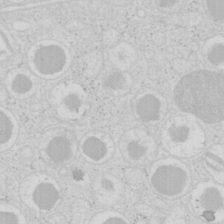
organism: Mouse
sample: Pancreas